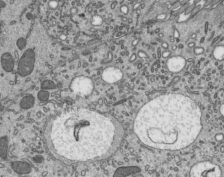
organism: Mouse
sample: Mouse epididymis efferent ductule cilia